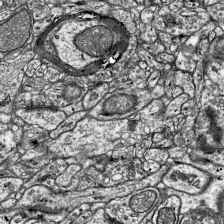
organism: Mouse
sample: Visual Cortex